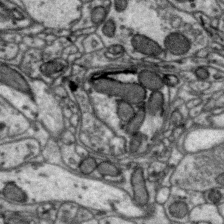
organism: Zebra finch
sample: Brain